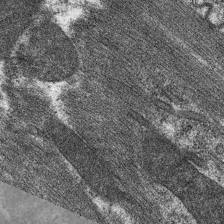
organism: C. elegans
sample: Pharynx